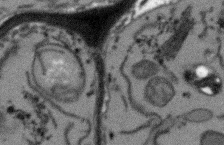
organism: Arabidopsis thaliana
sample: Root tip